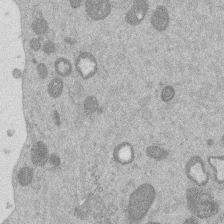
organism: Mouse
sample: Dividing mouse embryo 1 cell stage